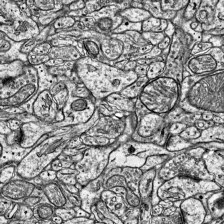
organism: Mouse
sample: Visual Cortex